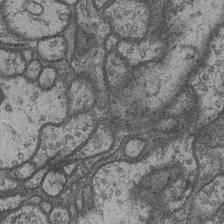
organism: Drosophila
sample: Optic medulla